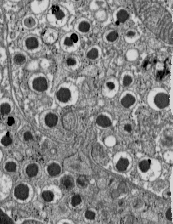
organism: C57BL Mouse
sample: Pancreatic islet